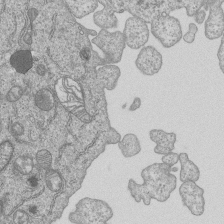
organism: Human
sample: MDA-MB-231 cells